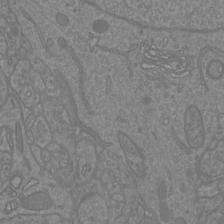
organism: Mouse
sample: Cortical neurons